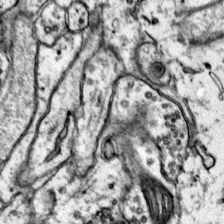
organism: Mouse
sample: Primary visual cortex